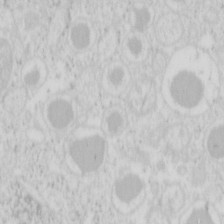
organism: Mouse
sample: Pancreas